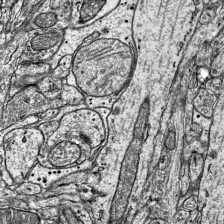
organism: Mouse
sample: Visual Cortex